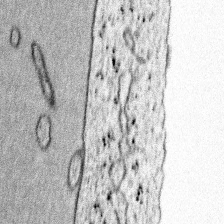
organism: Human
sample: HeLa cells